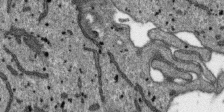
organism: Human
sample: Lung epithelial cells, uninfected (mock) control